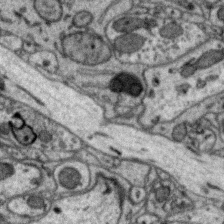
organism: Zebra finch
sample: Brain